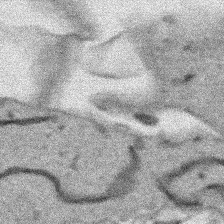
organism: Human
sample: Mitochondria in HCT116 cells